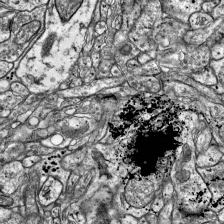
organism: Mouse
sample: Visual Cortex